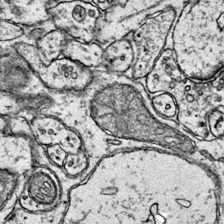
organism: Mouse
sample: Primary visual cortex